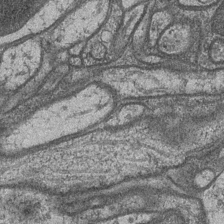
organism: Drosophila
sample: Optic medulla